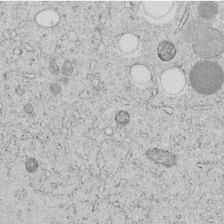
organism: C. elegans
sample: C. elegans embryo early stage